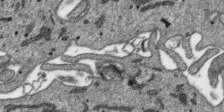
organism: Human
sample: Lung epithelial cells, uninfected (mock) control